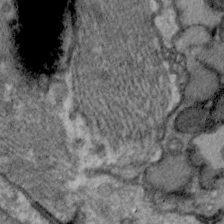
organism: C. elegans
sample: Pharynx